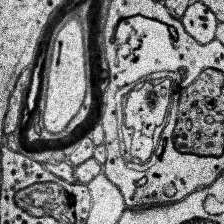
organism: Human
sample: Temporal Lobe